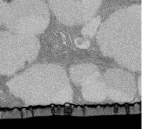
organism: Rat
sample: Salivary granule